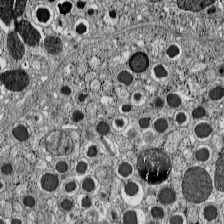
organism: C57BL Mouse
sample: Pancreatic islet